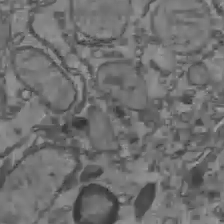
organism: C57BL Mouse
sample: Liver